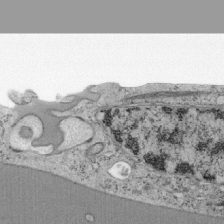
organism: Human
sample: HeLa cells